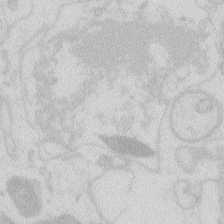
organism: Zebrafish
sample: Macrophage